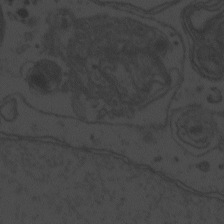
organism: Zebrafish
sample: Macrophage infected with Toxoplasma gondii